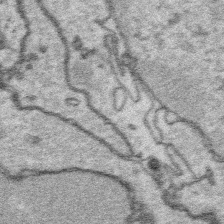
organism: Platynereis dumerilii